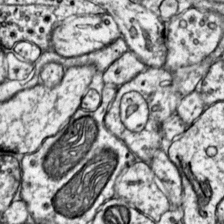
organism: Mouse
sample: Primary visual cortex